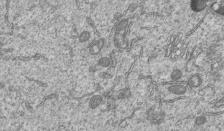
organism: Human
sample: MDA-MB-231 cells